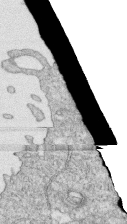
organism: Human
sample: HeLa cell HIV synapse